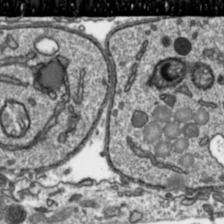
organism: Toxoplasma gondii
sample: Parasites in a vacuole inside a host cell